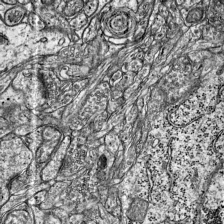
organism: Mouse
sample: Visual Cortex